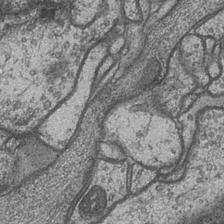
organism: Drosophila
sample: Optic medulla